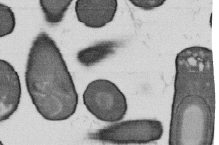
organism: B. subtilis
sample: Bacterial spore